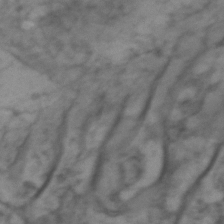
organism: Zebrafish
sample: Zebrafish embryo